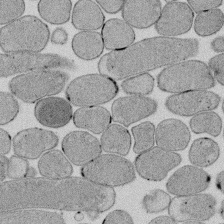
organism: E. coli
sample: Bacterial nucleoid